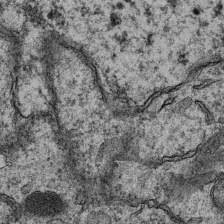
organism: Mouse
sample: CA1 Hippocampus